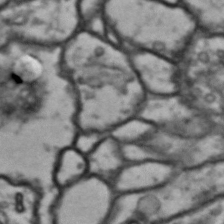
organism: Drosophila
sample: Brain